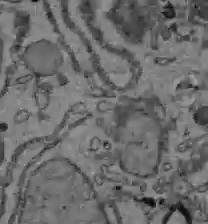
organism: C57BL Mouse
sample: Liver